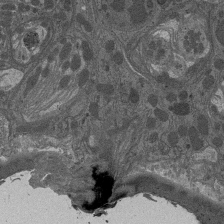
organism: Drosophila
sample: Antenna